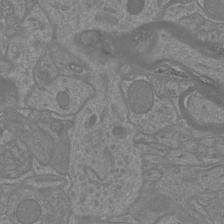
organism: Mouse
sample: Cortical neurons